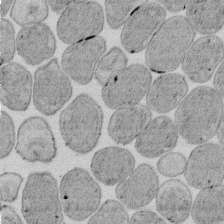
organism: E. coli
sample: Bacterial nucleoid